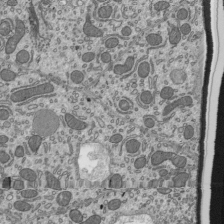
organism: Mouse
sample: Mouse epididymis efferent ductule cilia